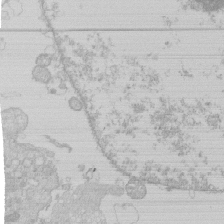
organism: Human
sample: Macrophage cells